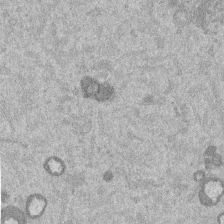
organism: Mouse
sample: Dividing mouse embryo 1 cell stage